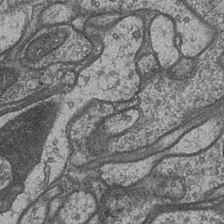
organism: Drosophila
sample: Optic medulla